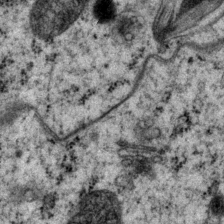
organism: P. pacificus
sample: Pharynx